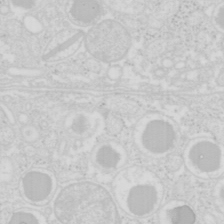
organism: Mouse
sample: Pancreas